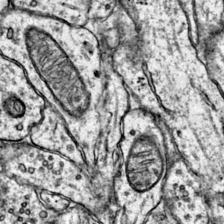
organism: Mouse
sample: Primary visual cortex